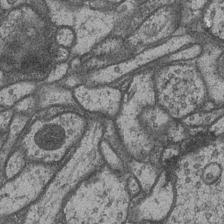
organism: Drosophila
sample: Optic medulla